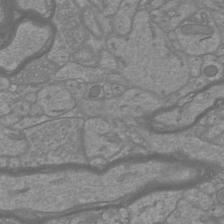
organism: Mouse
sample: Cortical neurons